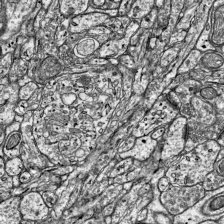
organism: Mouse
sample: Visual Cortex